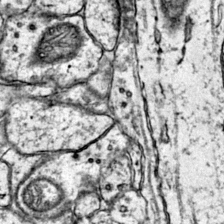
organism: Mouse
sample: Primary visual cortex